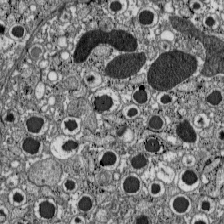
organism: C57BL Mouse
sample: Pancreatic islet